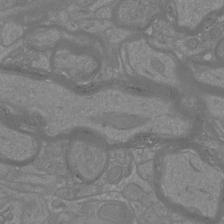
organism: Mouse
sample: Cortical neurons